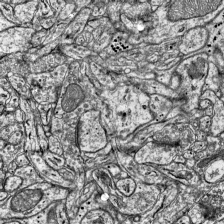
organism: Mouse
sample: Visual Cortex